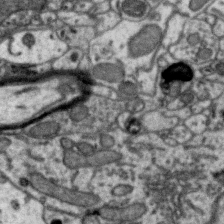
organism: Zebra finch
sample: Brain